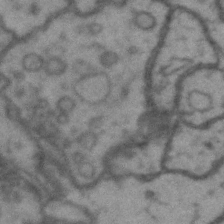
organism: Drosophila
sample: Brain